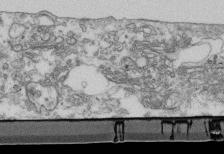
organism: Mouse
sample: Cilia; retinal pigment epithelium